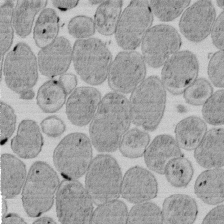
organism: E. coli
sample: Bacterial nucleoid